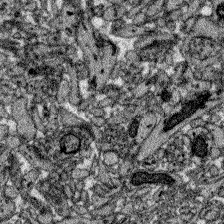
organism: Zebrafish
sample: Larval olfactory bulb